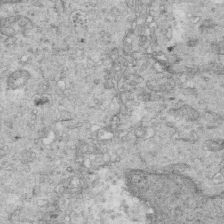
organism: Mouse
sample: Multiciliated cells